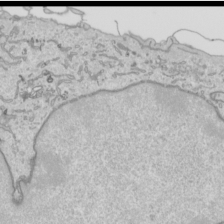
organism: Human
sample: Mitochondria in HCT116 cells